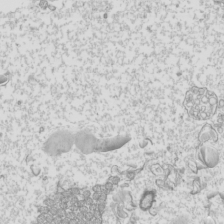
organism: Mouse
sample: Cilia; mouse epididymis